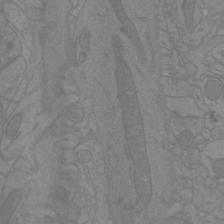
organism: Mouse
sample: Cortical neurons